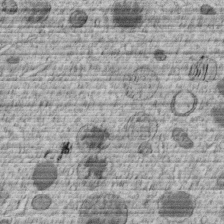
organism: C. elegans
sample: C. elegans embryo early stage